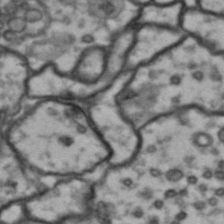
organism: Drosophila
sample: Brain